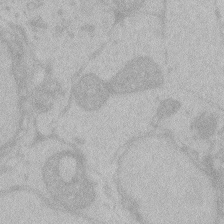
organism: Zebrafish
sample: Macrophage infected with Toxoplasma gondii